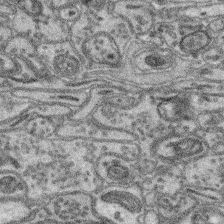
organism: Mouse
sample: Retina